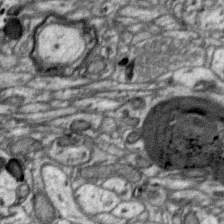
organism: Zebra finch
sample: Brain